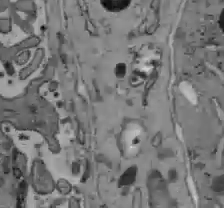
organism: C57BL Mouse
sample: Liver